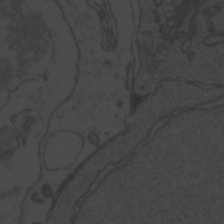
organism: Zebrafish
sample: Macrophage infected with Toxoplasma gondii